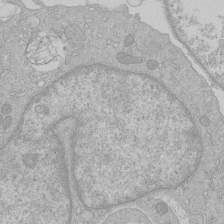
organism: Human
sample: Macrophage cells